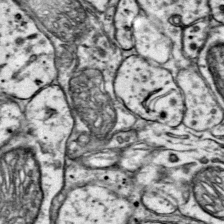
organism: Mouse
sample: Primary visual cortex